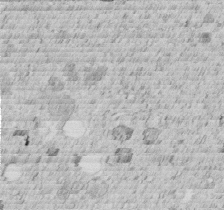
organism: C. elegans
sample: C. elegans embryo early stage